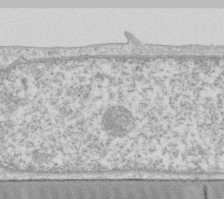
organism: Human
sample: Fibroblast cells